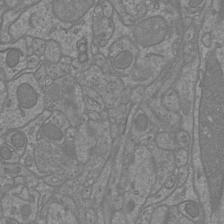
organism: Mouse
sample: Cortical neurons